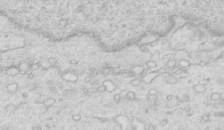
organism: Mouse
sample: Multiciliated cells